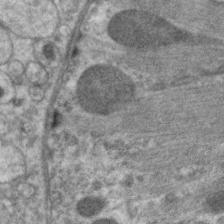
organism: C. elegans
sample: Pharynx